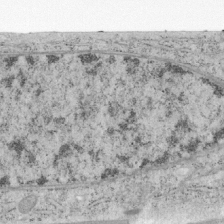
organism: Human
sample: HeLa cells